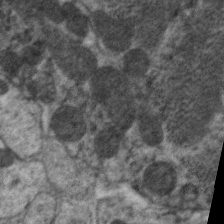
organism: C. elegans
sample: Pharynx